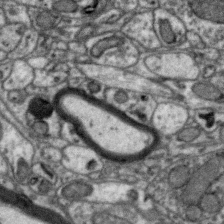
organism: Zebra finch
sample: Brain